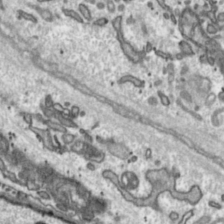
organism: Toxoplasma gondii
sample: Parasites in a vacuole inside a host cell